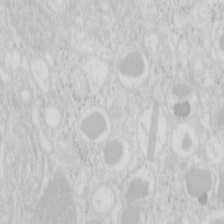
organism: Mouse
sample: Pancreas